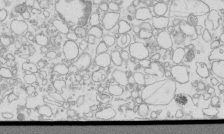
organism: Mouse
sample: Macrophages